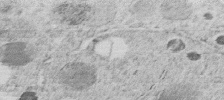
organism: C. elegans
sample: C. elegans embryo early stage